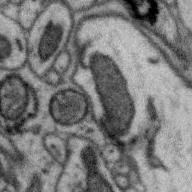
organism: Zebra finch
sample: Brain